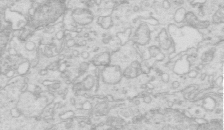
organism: Mouse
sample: Multiciliated cells